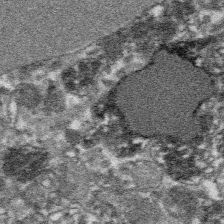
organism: Platynereis dumerilii